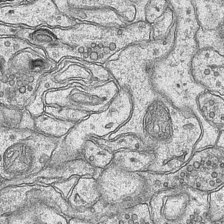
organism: Mouse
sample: CA1 Hippocampus